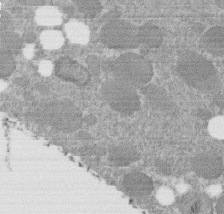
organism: C. elegans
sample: C. elegans embryo early stage